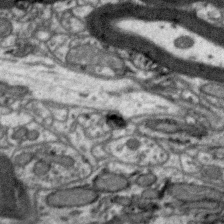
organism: Zebra finch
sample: Brain